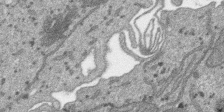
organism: Human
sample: Lung epithelial cells infected with SARS-CoV-2